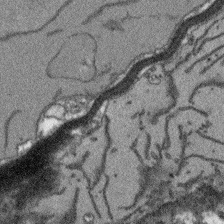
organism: Arabidopsis thaliana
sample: Root tip